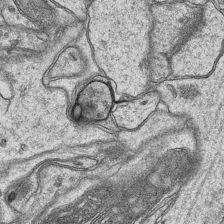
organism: Mouse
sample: CA1 Hippocampus